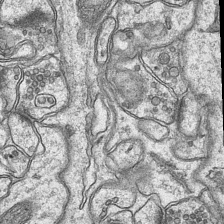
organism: Mouse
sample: CA1 Hippocampus